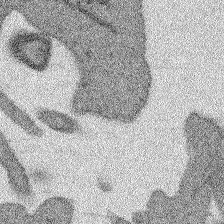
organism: Human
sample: HeLa cells